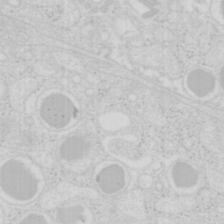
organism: Mouse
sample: Pancreas